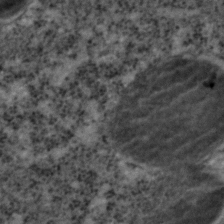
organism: C. elegans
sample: C. elegans embryo